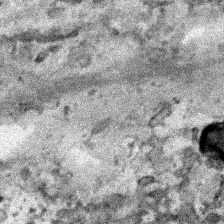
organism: Human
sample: Mitochondria in HCT116 cells